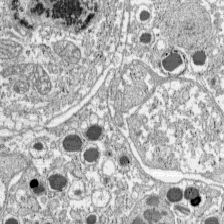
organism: C57BL Mouse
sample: Pancreatic islet